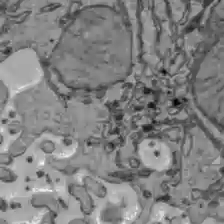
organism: C57BL Mouse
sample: Liver